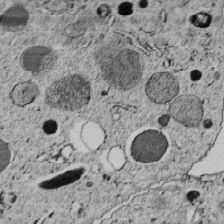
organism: C. elegans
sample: C. elegans embryo early stage